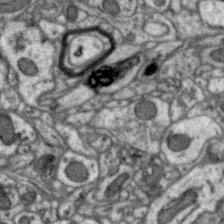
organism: Zebra finch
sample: Brain